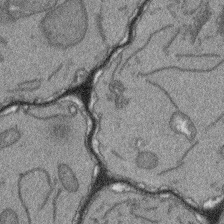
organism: Arabidopsis thaliana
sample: Root tip